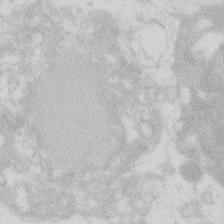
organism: Zebrafish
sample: Macrophage